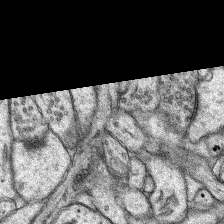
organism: Rat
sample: Hippocampus